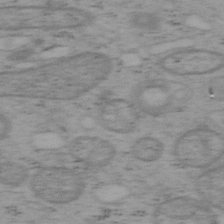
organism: Mouse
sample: OT-I killer T cells with ID8 ovarian cancer cells